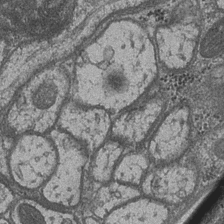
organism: Drosophila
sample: Optic medulla